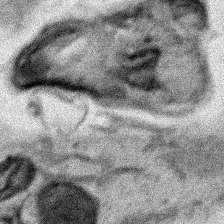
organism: Human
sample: Mitochondria in HCT116 cells